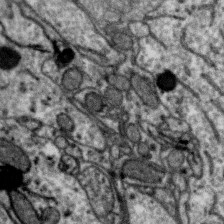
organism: Zebra finch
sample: Brain